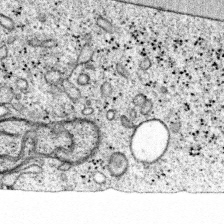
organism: Human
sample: HeLa cells